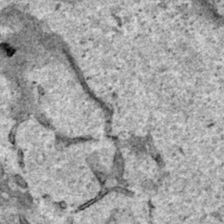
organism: Human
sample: Mitochondria in HCT116 cells